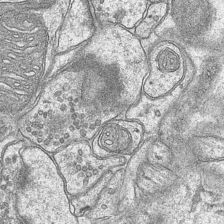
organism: Mouse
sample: CA1 Hippocampus